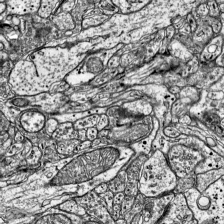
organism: Mouse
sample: Visual Cortex